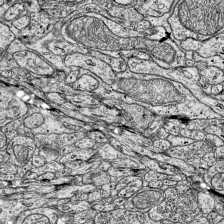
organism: Mouse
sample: Visual Cortex